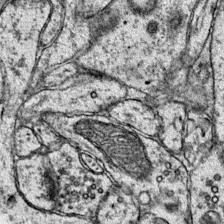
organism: Mouse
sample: Primary visual cortex